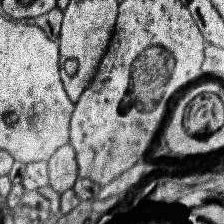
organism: Human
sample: Temporal Lobe